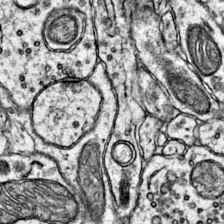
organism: Mouse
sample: Primary visual cortex